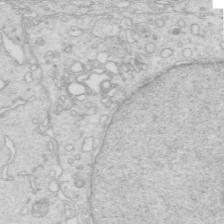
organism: Mouse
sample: Multiciliated cells